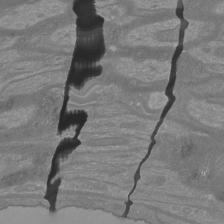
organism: Mouse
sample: Cortical neurons